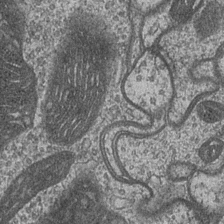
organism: Drosophila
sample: Optic medulla